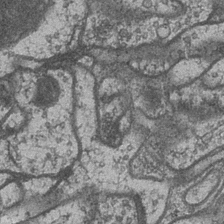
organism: Drosophila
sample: Optic medulla